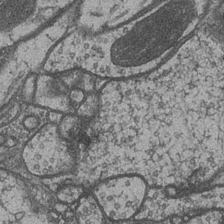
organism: Drosophila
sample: Optic medulla